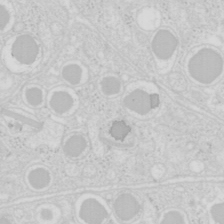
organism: Mouse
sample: Pancreas